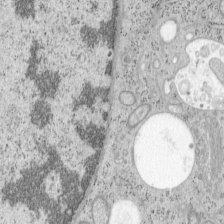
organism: Mouse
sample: OT-I killer T cells with ID8 ovarian cancer cells